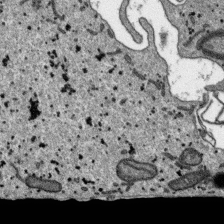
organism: Human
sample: Lung epithelial cells, uninfected (mock) control